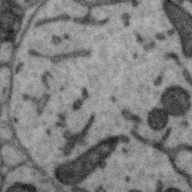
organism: Zebra finch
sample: Brain